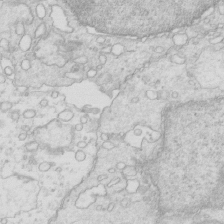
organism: Mouse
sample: Multiciliated cells